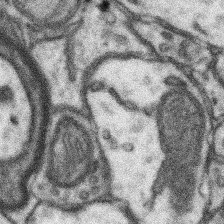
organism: Mouse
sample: Somatosensory cortex neuropil